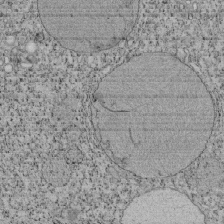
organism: Tetrahymena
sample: Cilia in tetrahymena